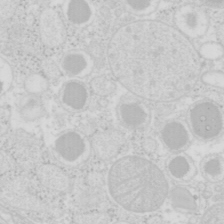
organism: Mouse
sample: Pancreas